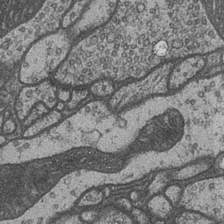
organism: Drosophila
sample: Optic medulla